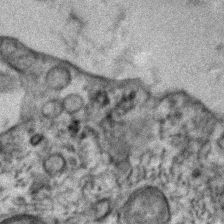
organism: Human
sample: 1205lu cells